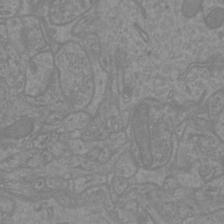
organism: Mouse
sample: Cortical neurons